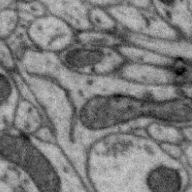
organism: Zebra finch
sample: Brain